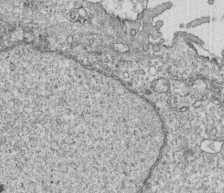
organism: Human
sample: HeLa cell HIV synapse